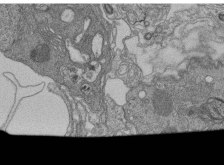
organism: Human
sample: Retinal organoid Rod and Cone cells